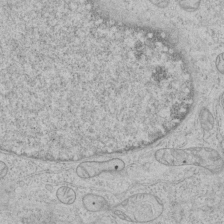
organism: Human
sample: Mitochondria in HCT116 cells